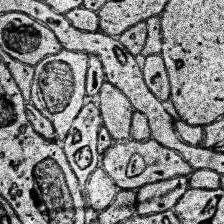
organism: Human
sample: Temporal Lobe